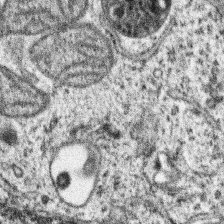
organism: Human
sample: HeLa cells